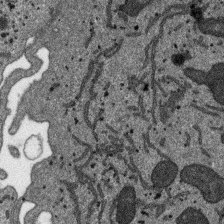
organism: Human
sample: Lung epithelial cells infected with SARS-CoV-2